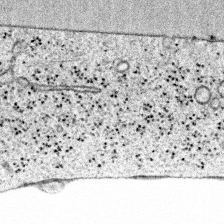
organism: Human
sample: HeLa cells